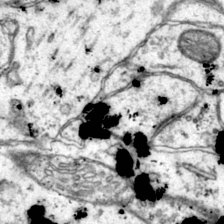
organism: Mouse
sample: Primary visual cortex